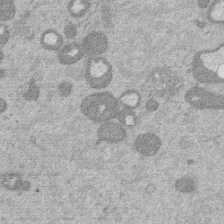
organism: Mouse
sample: Dividing mouse embryo 1 cell stage